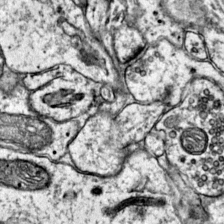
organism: Mouse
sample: Primary visual cortex